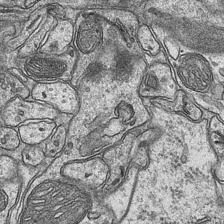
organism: Mouse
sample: CA1 Hippocampus